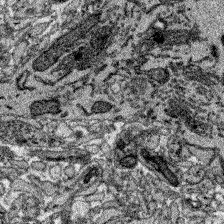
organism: Zebrafish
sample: Larval olfactory bulb